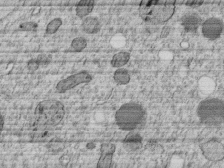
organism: C. elegans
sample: C. elegans embryo early stage